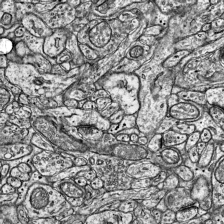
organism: Mouse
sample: Visual Cortex